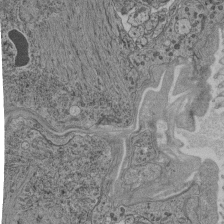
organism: C. elegans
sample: C. elegans pharynx